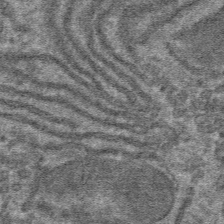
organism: Mouse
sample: Mouse hepatocytes